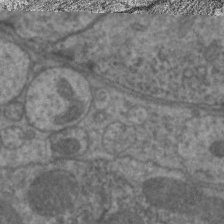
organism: C. elegans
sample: Pharynx